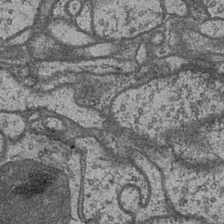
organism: Drosophila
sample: Optic medulla